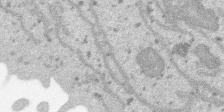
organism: Human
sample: Lung epithelial cells infected with SARS-CoV-2